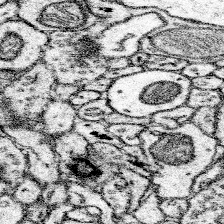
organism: Mouse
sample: Somatosensory cortex neuropil